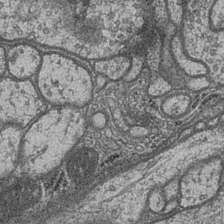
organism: Drosophila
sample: Optic medulla